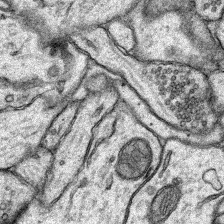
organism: Rat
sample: Hippocampus